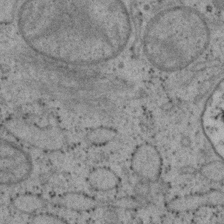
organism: Human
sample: HeLa cells